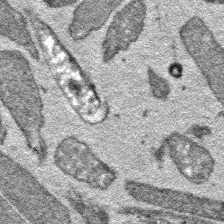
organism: E. coli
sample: E. Coli Bacteria